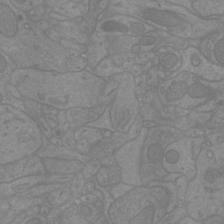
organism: Mouse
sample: Cortical neurons